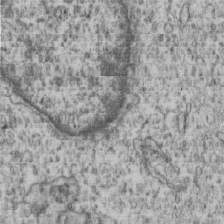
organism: Human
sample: MDA-MB-231 cells